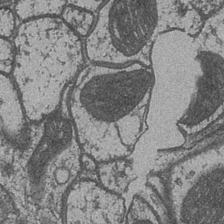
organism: Drosophila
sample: Optic medulla